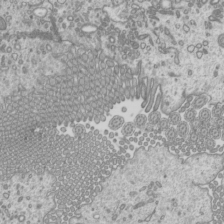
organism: Mouse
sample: Cilia; mouse epididymis